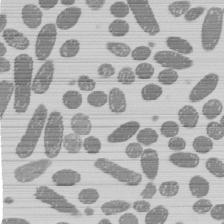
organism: E. coli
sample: Bacterial nucleoid